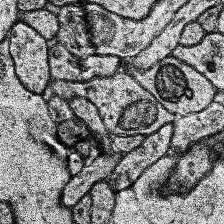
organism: Human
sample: Temporal Lobe